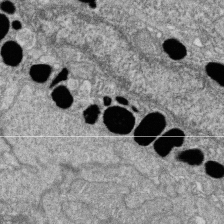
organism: Zebrafish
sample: Cilia; retinal pigment epithelium